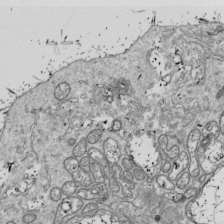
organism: Drosophila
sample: Cell division; meiosis; drosophila spermatocytes